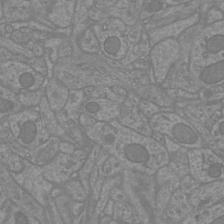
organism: Mouse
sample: Cortical neurons